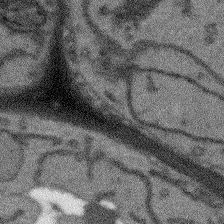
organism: Arabidopsis thaliana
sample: Root tip